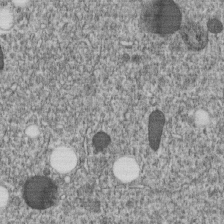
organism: C. elegans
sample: C. elegans embryo early stage